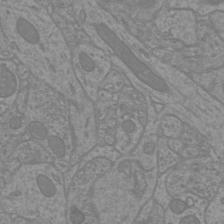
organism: Mouse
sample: Cortical neurons